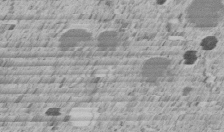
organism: C. elegans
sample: C. elegans embryo early stage